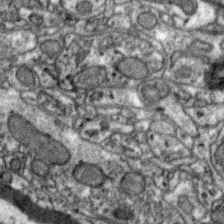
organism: Zebra finch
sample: Brain